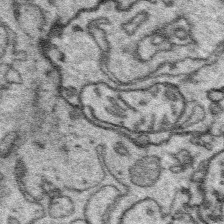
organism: Platynereis dumerilii